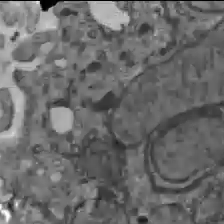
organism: C57BL Mouse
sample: Liver